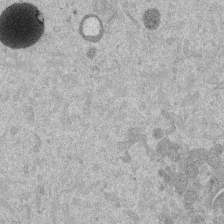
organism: Mouse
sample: Dividing mouse embryo 1 cell stage